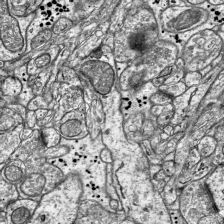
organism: Mouse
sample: Visual Cortex